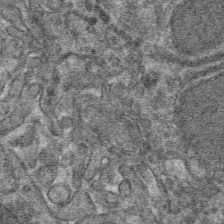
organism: Mouse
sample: Mouse hepatocytes